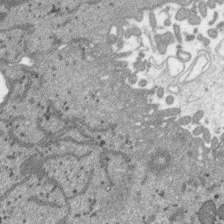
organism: Human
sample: Lung epithelial cells infected with SARS-CoV-2